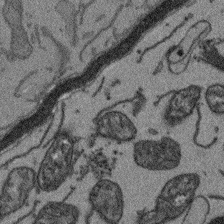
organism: Arabidopsis thaliana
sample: Root tip